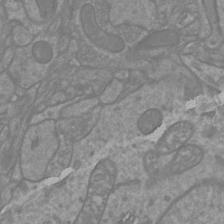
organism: Mouse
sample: Cortical neurons